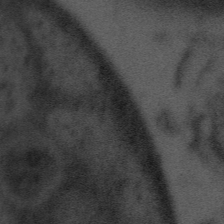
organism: Tuwongella immobilis